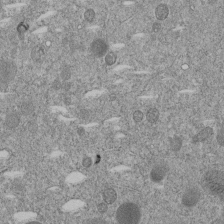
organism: C. elegans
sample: C. elegans embryo early stage